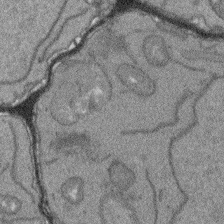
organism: Arabidopsis thaliana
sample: Root tip